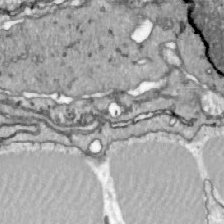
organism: Zebrafish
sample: Actinotrichia fibers